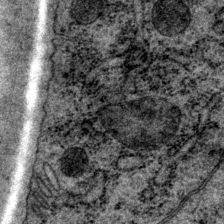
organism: P. pacificus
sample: Pharynx